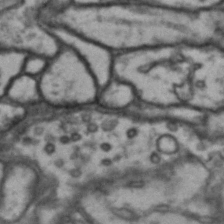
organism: Drosophila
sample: Brain